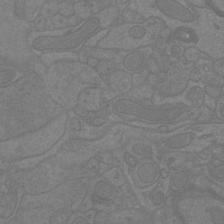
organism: Mouse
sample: Cortical neurons